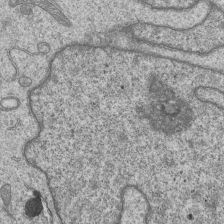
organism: Human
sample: MDA-MB-231 cells